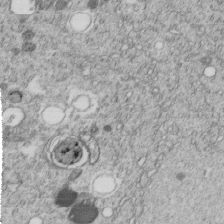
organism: C. elegans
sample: C. elegans embryo early stage